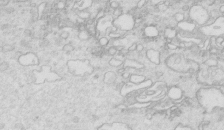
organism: Mouse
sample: Multiciliated cells